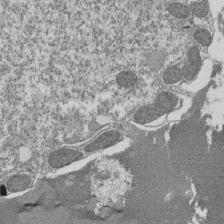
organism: Tetrahymena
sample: Cilia in tetrahymena